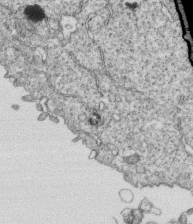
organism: Human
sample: HeLa cell HIV synapse